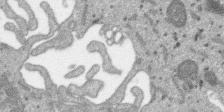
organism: Human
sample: Lung epithelial cells infected with SARS-CoV-2